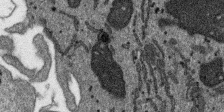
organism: Human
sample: Lung epithelial cells infected with SARS-CoV-2